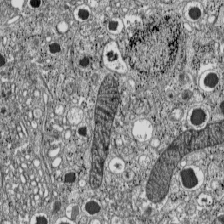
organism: C57BL Mouse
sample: Pancreatic islet